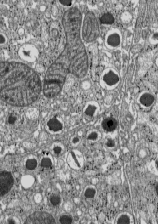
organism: C57BL Mouse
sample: Pancreatic islet